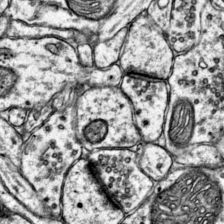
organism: Mouse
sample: Primary visual cortex